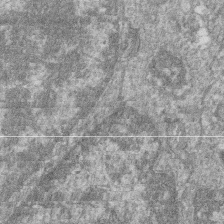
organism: Zebrafish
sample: Cilia; retinal pigment epithelium